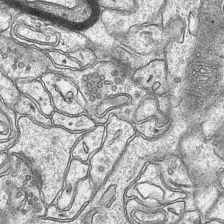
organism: Mouse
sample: CA1 Hippocampus